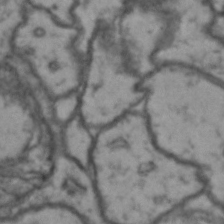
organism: Drosophila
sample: Brain